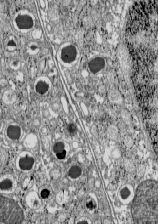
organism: C57BL Mouse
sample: Pancreatic islet